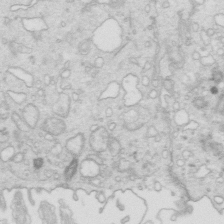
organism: Mouse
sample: Multiciliated cells